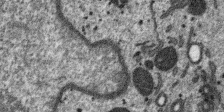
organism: Human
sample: Lung epithelial cells infected with SARS-CoV-2